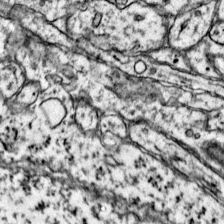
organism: Mouse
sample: Primary visual cortex